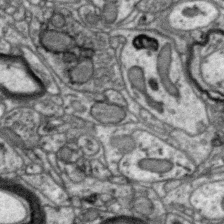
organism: Zebra finch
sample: Brain